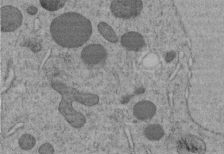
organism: C. elegans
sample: C. elegans embryo early stage